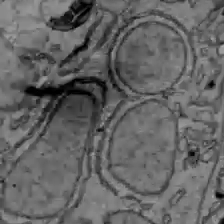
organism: C57BL Mouse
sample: Liver